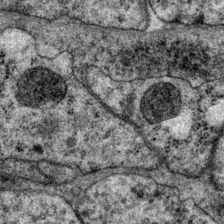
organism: P. pacificus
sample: Pharynx